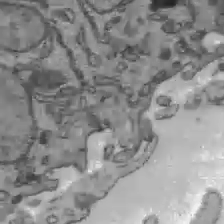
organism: C57BL Mouse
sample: Liver